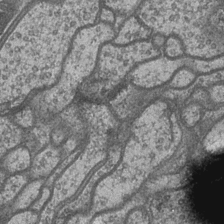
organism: Drosophila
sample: Optic medulla